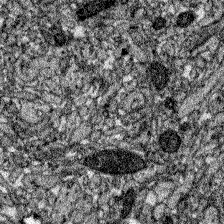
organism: Zebrafish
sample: Larval olfactory bulb